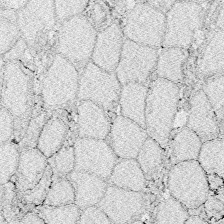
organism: Zebrafish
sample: Whole-Brain